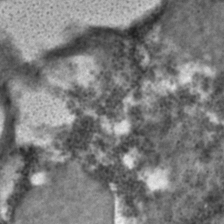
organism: C. elegans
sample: C. elegans embryo